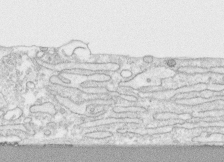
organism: Human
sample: CRL-1474